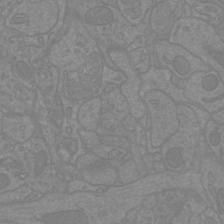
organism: Mouse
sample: Cortical neurons